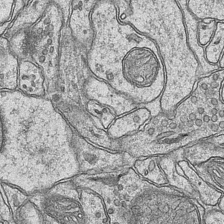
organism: Mouse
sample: CA1 Hippocampus